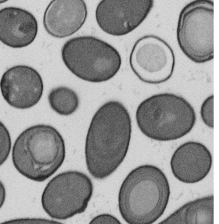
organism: B. subtilis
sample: Bacterial spore